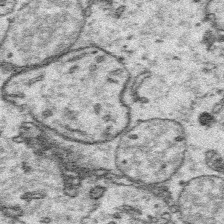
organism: Platynereis dumerilii